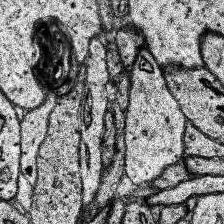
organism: Human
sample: Temporal Lobe